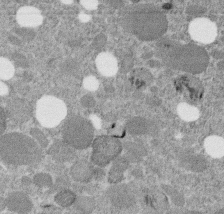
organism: C. elegans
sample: C. elegans embryo early stage